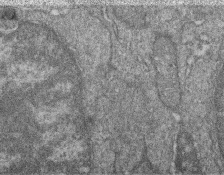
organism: Zebrafish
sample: Cilia; retinal pigment epithelium